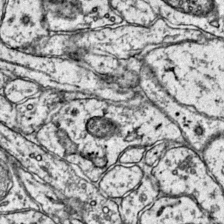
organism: Mouse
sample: Primary visual cortex